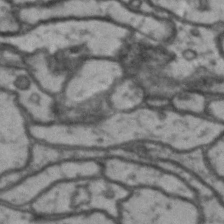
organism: Drosophila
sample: Brain